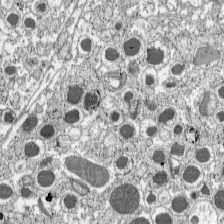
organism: C57BL Mouse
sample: Pancreatic islet